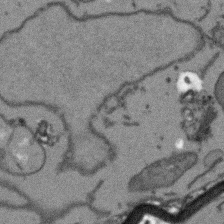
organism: Arabidopsis thaliana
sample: Root tip